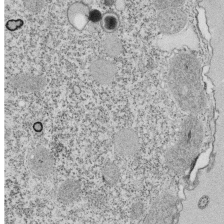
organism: Tetrahymena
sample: Cilia in tetrahymena